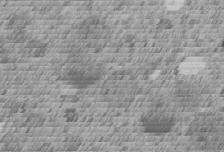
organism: C. elegans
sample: C. elegans embryo early stage